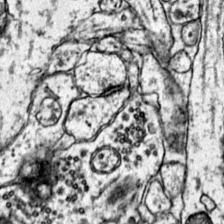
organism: Mouse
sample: Primary visual cortex